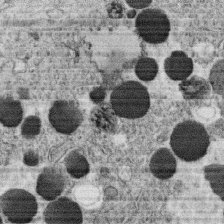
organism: C. elegans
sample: C. elegans oocyte; sperm cells